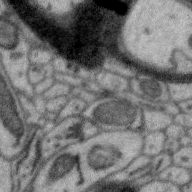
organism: Zebra finch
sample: Brain